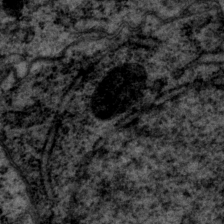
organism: P. pacificus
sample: Pharynx